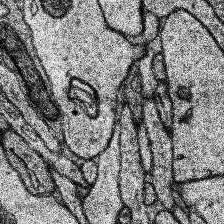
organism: Human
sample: Temporal Lobe